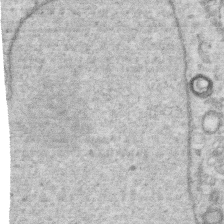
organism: Human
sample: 1205lu cells